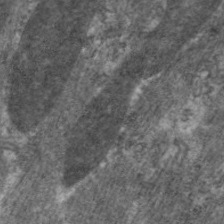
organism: C. elegans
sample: Pharynx